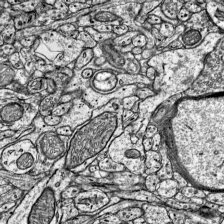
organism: Mouse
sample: Visual Cortex